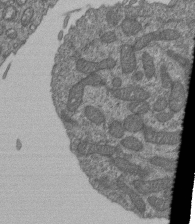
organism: Human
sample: Retinal organoid Rod and Cone cells